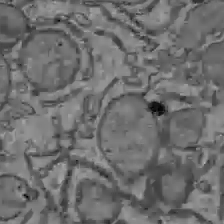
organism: C57BL Mouse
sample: Liver